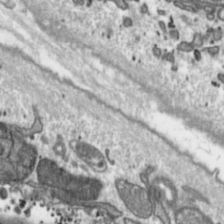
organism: Toxoplasma gondii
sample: Parasites in a vacuole inside a host cell